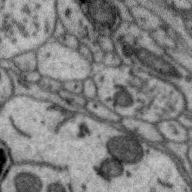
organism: Zebra finch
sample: Brain